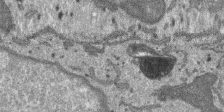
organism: Human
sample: Lung epithelial cells infected with SARS-CoV-2